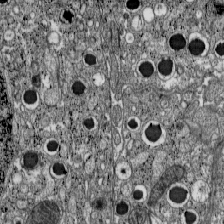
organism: C57BL Mouse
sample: Pancreatic islet